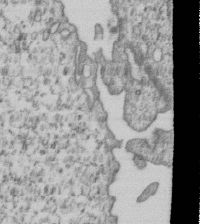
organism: Human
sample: MDA-MB-231 cells